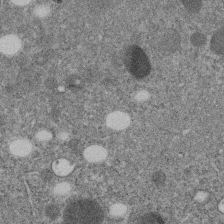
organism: C. elegans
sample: C. elegans embryo early stage